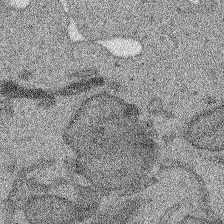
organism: Human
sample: HeLa cells